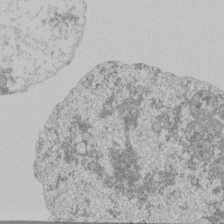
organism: Mouse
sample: Activated Pmel transgenic CD8+ T Cells